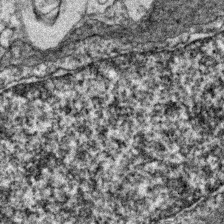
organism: Zebrafish